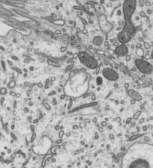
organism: Mouse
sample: Mouse epididymis efferent ductule cilia